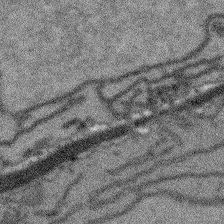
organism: Arabidopsis thaliana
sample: Root tip